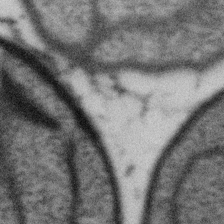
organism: Gemmata obscuriglobus